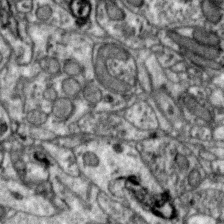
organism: Zebra finch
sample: Brain